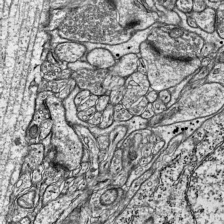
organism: Mouse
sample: Visual Cortex